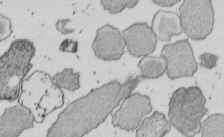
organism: E. coli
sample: Bacterial nucleoid